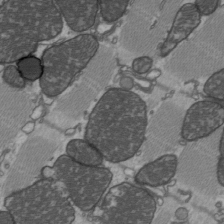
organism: C57BL Mouse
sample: Heart